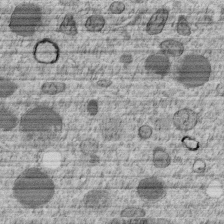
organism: C. elegans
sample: C. elegans embryo early stage